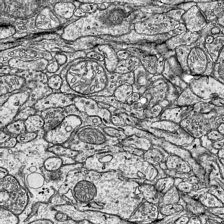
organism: Mouse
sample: Visual Cortex